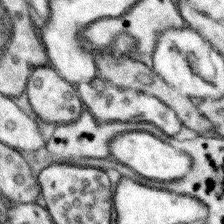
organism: Mouse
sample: Somatosensory cortex neuropil